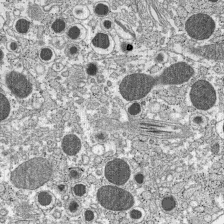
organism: C57BL Mouse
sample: Pancreatic islet